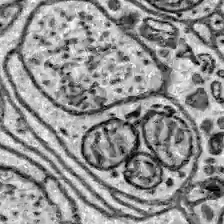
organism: Zebrafish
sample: Brain